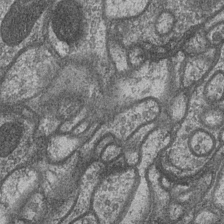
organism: Drosophila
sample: Optic medulla